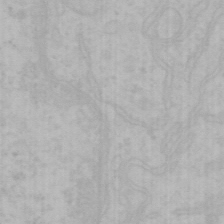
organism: Mouse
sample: Choroid plexus